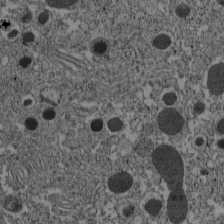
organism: C57BL Mouse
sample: Pancreatic islet